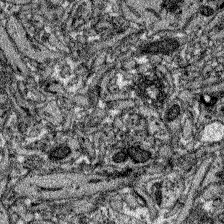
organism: Zebrafish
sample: Larval olfactory bulb